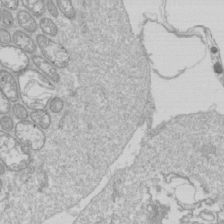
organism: Drosophila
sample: Cell division; meiosis; drosophila spermatocytes